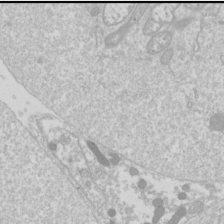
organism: Drosophila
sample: Cell division; meiosis; drosophila spermatocytes